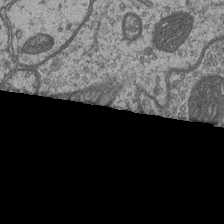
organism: Drosophila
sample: Optic medulla